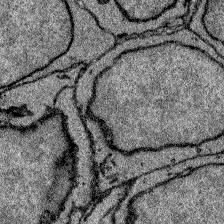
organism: Zebrafish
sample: Larval olfactory bulb